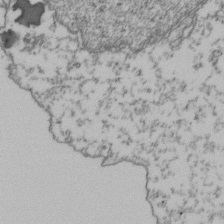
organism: Human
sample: Activated Jurkat CD4+ T cells